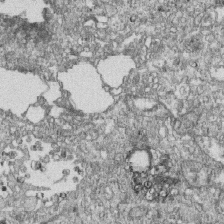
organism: Human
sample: HeLa cell HIV synapse